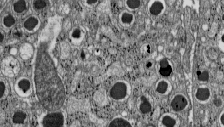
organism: C57BL Mouse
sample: Pancreatic islet